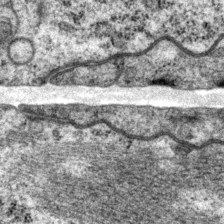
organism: P. pacificus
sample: Pharynx